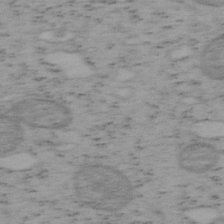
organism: Mouse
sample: OT-I killer T cells with ID8 ovarian cancer cells